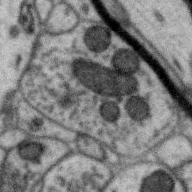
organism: Zebra finch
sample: Brain